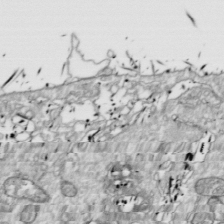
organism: Drosophila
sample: Cell division; meiosis; drosophila spermatocytes